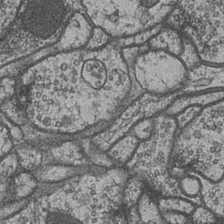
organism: Drosophila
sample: Optic medulla